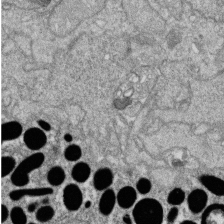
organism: Zebrafish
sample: Cilia; retinal pigment epithelium